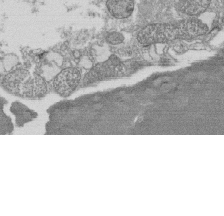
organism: Tetrahymena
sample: Cilia in tetrahymena